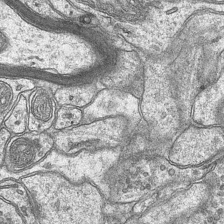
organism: Mouse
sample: CA1 Hippocampus